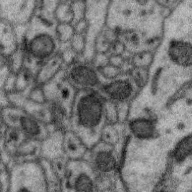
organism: Zebra finch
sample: Brain